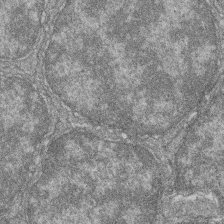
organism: Zebrafish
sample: Cilia; retinal pigment epithelium